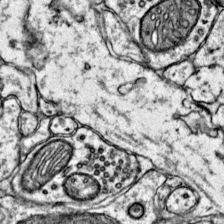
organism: Mouse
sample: Primary visual cortex